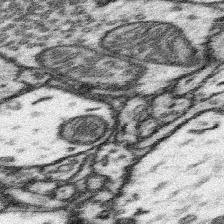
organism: Mouse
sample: Somatosensory cortex neuropil